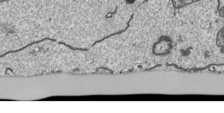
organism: Human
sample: Mitochondria in HCT116 cells